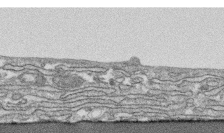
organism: Human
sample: CRL-1474